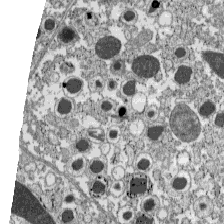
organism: C57BL Mouse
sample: Pancreatic islet